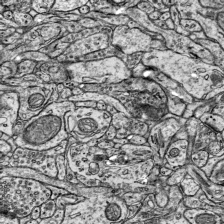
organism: Mouse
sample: Visual Cortex